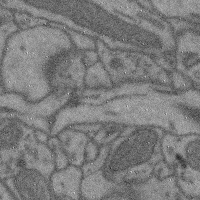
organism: Mouse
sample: Cerebral cortex